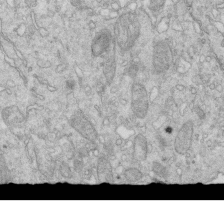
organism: Mouse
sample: Multiciliated cells